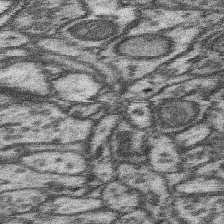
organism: Mouse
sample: Somatosensory cortex neuropil